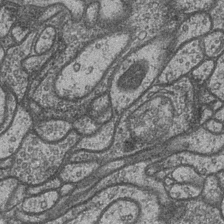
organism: Drosophila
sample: Optic medulla